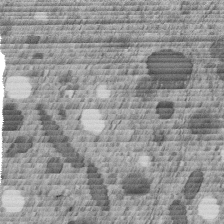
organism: C. elegans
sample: C. elegans embryo early stage